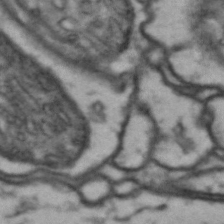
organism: Drosophila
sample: Brain